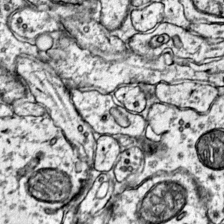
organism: Mouse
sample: Primary visual cortex